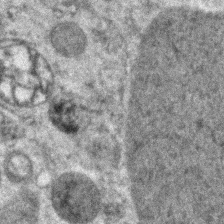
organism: Zebrafish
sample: Zebrafish embryo